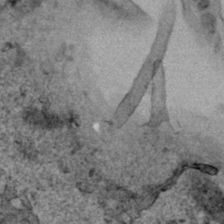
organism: Human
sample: Mitochondria in HCT116 cells